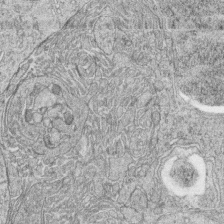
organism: Zebrafish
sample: synaptic ribbons in rod cells and cone cells